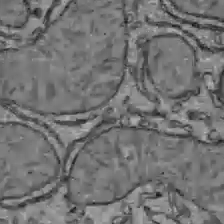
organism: C57BL Mouse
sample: Liver